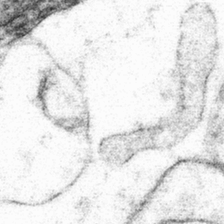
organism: Mouse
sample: Mouse hepatocytes